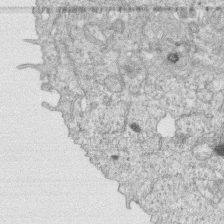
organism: Human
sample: HeLa cell HIV synapse